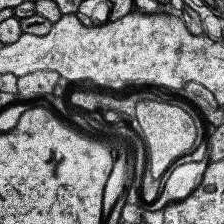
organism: Human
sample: Temporal Lobe